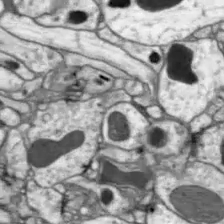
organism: Drosophila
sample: Optic lobe